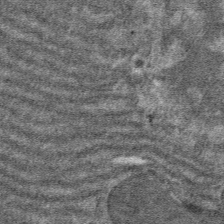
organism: Mouse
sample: Mouse hepatocytes